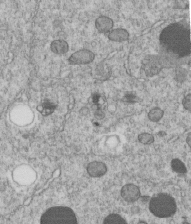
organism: C. elegans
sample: C. elegans embryo early stage